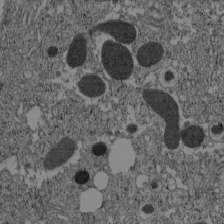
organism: C57BL Mouse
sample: Pancreatic islet